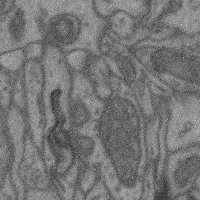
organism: Mouse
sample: Cerebral cortex